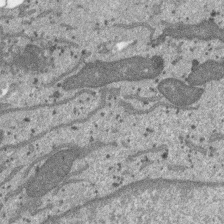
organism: Human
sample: Lung epithelial cells infected with SARS-CoV-2